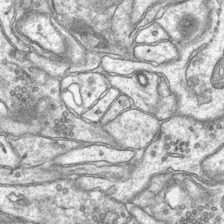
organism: Mouse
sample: CA1 Hippocampus